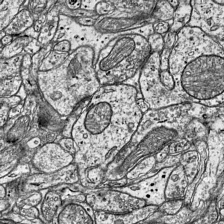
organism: Mouse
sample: Visual Cortex